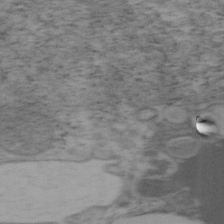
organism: Mouse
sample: OT-I killer T cells with ID8 ovarian cancer cells